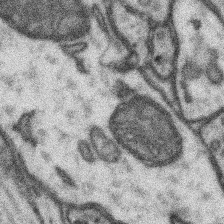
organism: Mouse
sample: Somatosensory cortex neuropil